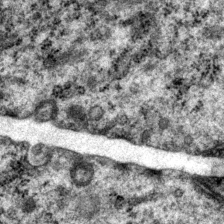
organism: P. pacificus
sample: Pharynx